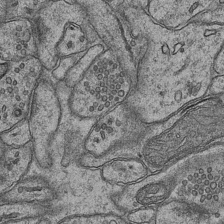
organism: Mouse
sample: CA1 Hippocampus